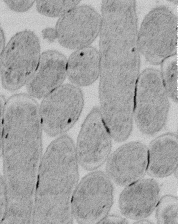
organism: E. coli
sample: Bacterial nucleoid